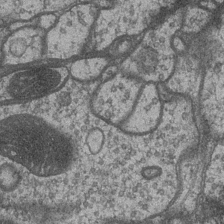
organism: Drosophila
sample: Optic medulla